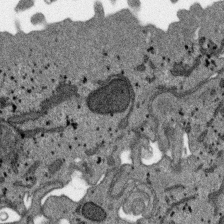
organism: Human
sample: Lung epithelial cells, uninfected (mock) control